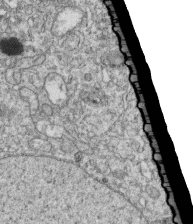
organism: Human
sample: HeLa cell HIV synapse